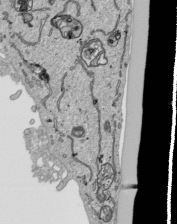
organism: Human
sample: Mitochondria in HCT116 cells